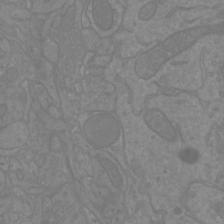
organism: Mouse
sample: Cortical neurons